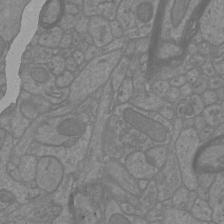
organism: Mouse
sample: Cortical neurons